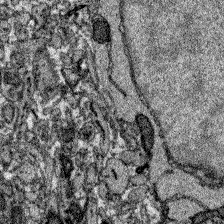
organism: Zebrafish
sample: Larval olfactory bulb